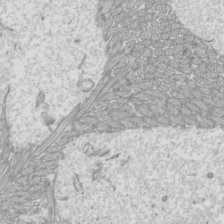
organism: Mouse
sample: Cilia; mouse epididymis